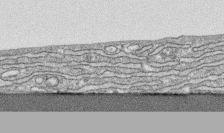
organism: Human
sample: CRL-1474